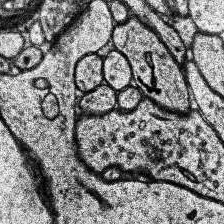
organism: Human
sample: Temporal Lobe